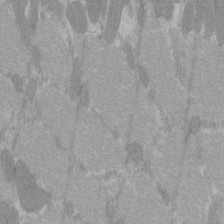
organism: C57BL Mouse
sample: Tibialis anterior muscle cell